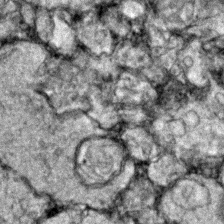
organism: Zebrafish